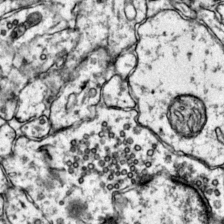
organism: Mouse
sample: Primary visual cortex